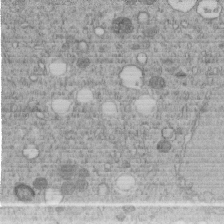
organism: C. elegans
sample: C. elegans embryo early stage